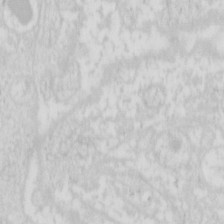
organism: Mouse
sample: Pancreas